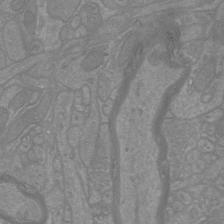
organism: Mouse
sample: Cortical neurons